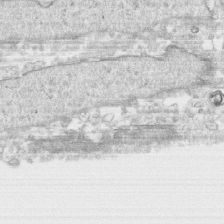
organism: Human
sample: CRL-1474